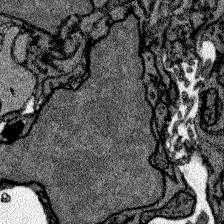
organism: Zebrafish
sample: Larval olfactory bulb